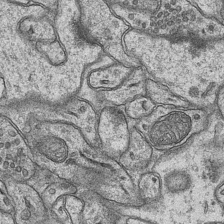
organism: Mouse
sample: CA1 Hippocampus